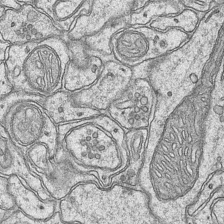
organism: Mouse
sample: CA1 Hippocampus